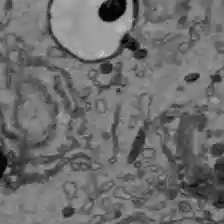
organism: C57BL Mouse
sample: Liver